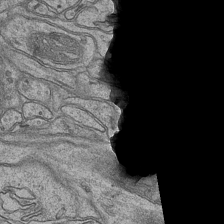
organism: Mouse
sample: CA1 Hippocampus